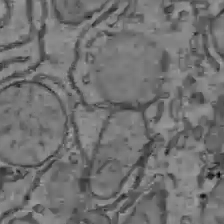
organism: C57BL Mouse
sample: Liver